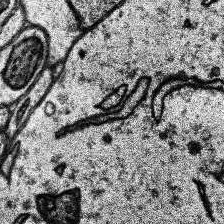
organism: Human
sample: Temporal Lobe